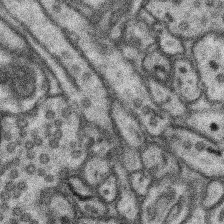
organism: Mouse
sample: Somatosensory cortex neuropil